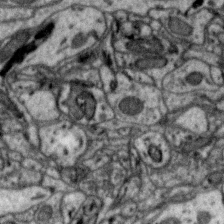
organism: Zebra finch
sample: Brain